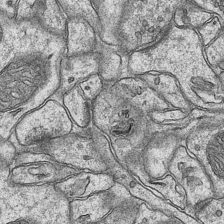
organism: Mouse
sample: CA1 Hippocampus